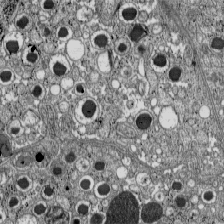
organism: C57BL Mouse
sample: Pancreatic islet